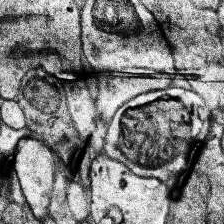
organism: Human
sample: Temporal Lobe